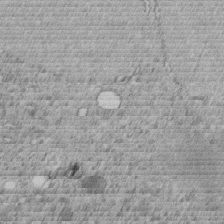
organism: C. elegans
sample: C. elegans embryo early stage